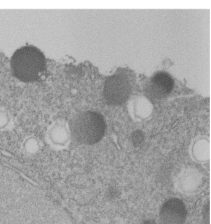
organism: C. elegans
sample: C. elegans embryo early stage